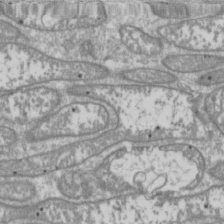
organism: Drosophila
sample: Cell division; meiosis; drosophila spermatocytes